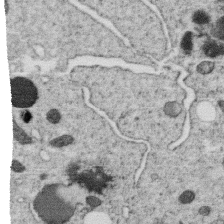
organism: C. elegans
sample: C. elegans oocyte; sperm cells